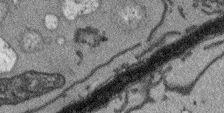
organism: Arabidopsis thaliana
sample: Root tip